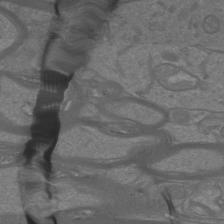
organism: Mouse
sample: Cortical neurons